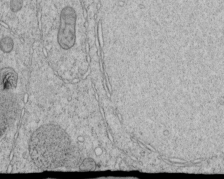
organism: C. elegans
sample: C. elegans embryo early stage